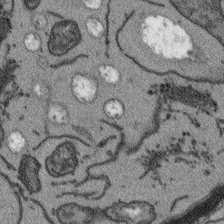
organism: Arabidopsis thaliana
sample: Root tip